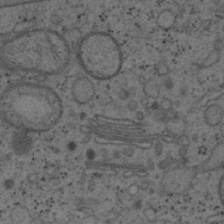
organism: Human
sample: HeLa cells